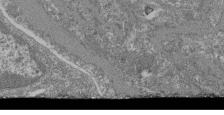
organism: Mouse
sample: Glomerulus